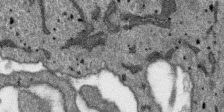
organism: Human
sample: Lung epithelial cells, uninfected (mock) control